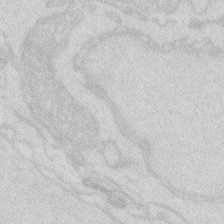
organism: Zebrafish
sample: Macrophage